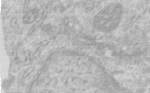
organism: Human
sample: Centriole in RPE cells